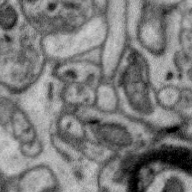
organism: Zebra finch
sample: Brain